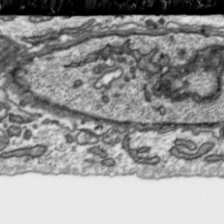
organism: Toxoplasma gondii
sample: Parasites in a vacuole inside a host cell